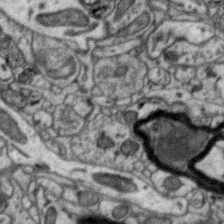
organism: Zebra finch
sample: Brain